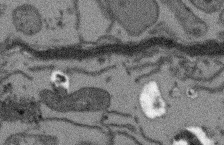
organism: Arabidopsis thaliana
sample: Root tip